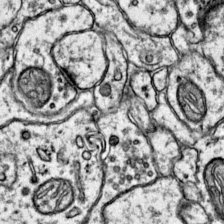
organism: Mouse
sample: Primary visual cortex